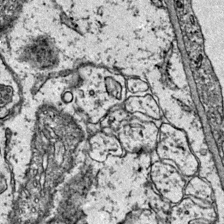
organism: Mouse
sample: Primary visual cortex